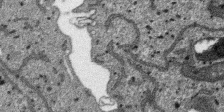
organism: Human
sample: Lung epithelial cells infected with SARS-CoV-2